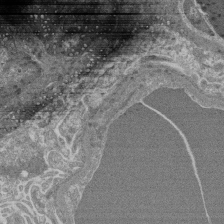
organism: Mouse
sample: Glomerulus